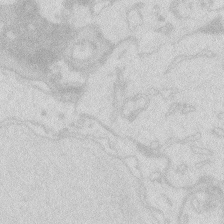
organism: Zebrafish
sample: Macrophage